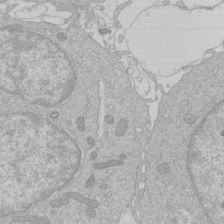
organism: Human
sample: Macrophage cells